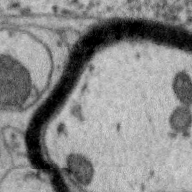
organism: Zebra finch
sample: Brain